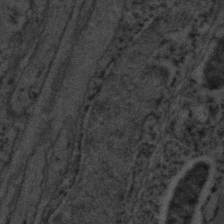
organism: C. elegans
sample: C. elegans embryo